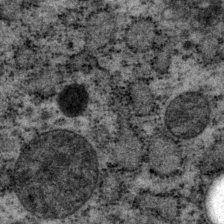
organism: P. pacificus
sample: Pharynx